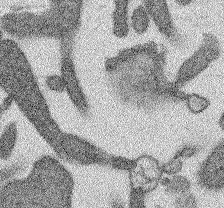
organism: Human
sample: HeLa cells